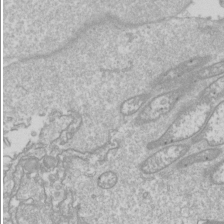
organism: Drosophila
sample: Cell division; meiosis; drosophila spermatocytes